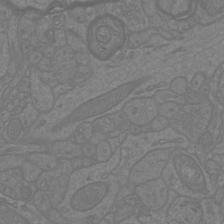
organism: Mouse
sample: Cortical neurons